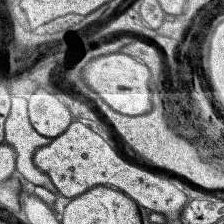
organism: Human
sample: Temporal Lobe